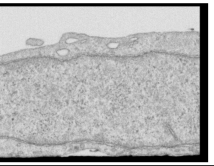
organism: Human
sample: Centriole in RPE cells